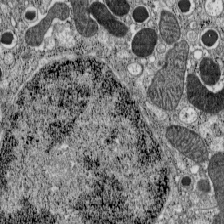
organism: C57BL Mouse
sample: Pancreatic islet